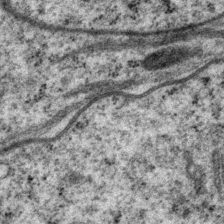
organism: P. pacificus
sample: Pharynx